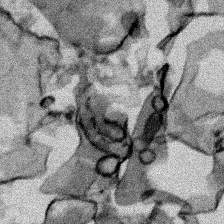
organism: Human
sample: Mitochondria in HCT116 cells